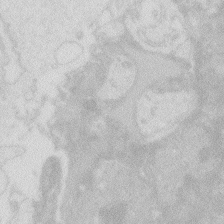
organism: Zebrafish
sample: Macrophage